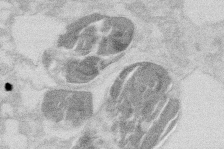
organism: Mouse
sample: T cell stromal cell synapse